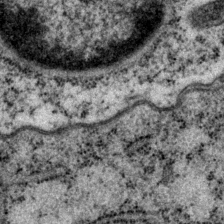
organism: P. pacificus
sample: Pharynx